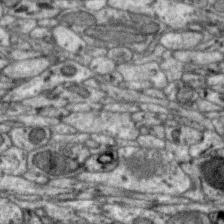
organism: Zebra finch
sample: Brain